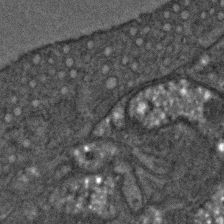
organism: C. elegans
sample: C. elegans embryo